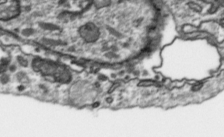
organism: Toxoplasma gondii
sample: Parasites in a vacuole inside a host cell